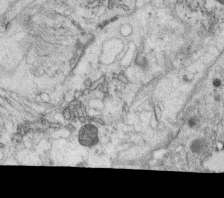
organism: C. elegans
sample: C. elegans oocyte; sperm cells